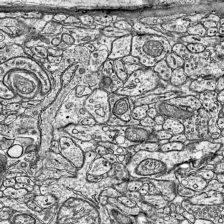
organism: Mouse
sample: Visual Cortex